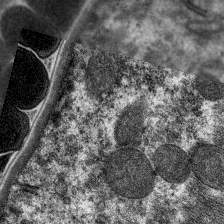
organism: C. elegans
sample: Pharynx